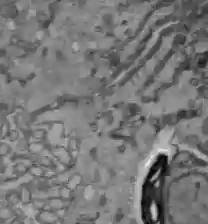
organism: C57BL Mouse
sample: Liver